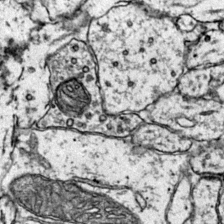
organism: Mouse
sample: Primary visual cortex